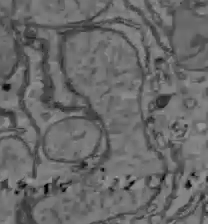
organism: C57BL Mouse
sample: Liver